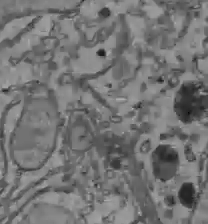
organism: C57BL Mouse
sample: Liver